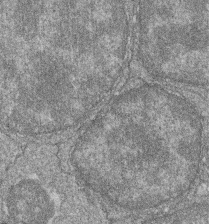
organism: Zebrafish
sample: Cilia; retinal pigment epithelium